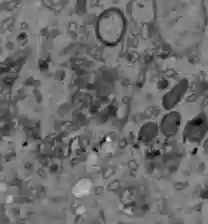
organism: C57BL Mouse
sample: Liver